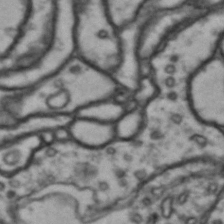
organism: Drosophila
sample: Brain